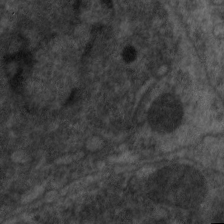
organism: C. elegans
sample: Pharynx